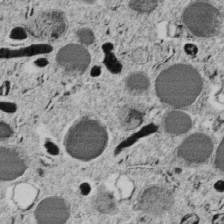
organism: C. elegans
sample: C. elegans embryo early stage